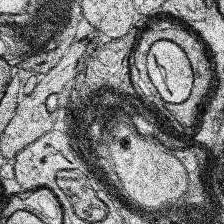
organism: Human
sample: Temporal Lobe